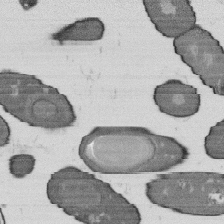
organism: B. subtilis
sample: Bacterial spore